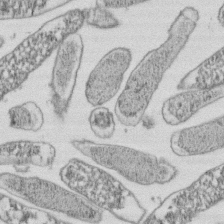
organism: E. coli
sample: Bacterial nucleoid